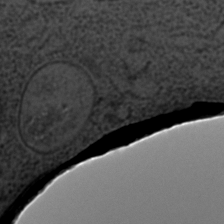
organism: C. elegans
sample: C. elegans embryo